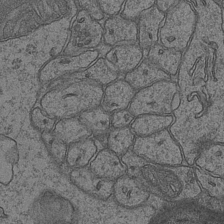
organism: Mouse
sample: CA1 Hippocampus